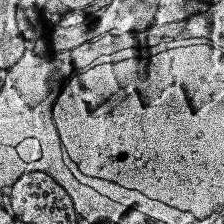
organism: Human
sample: Temporal Lobe